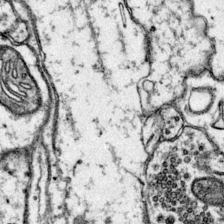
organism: Mouse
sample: Primary visual cortex